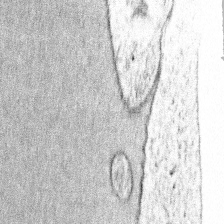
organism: Human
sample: HeLa cells